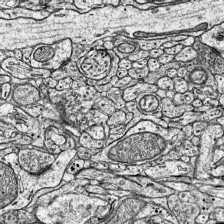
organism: Mouse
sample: Visual Cortex